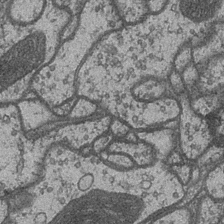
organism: Drosophila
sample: Optic medulla